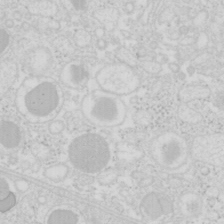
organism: Mouse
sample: Pancreas